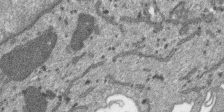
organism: Human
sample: Lung epithelial cells infected with SARS-CoV-2